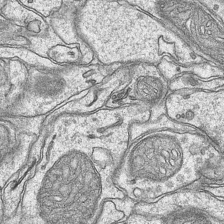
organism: Mouse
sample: CA1 Hippocampus